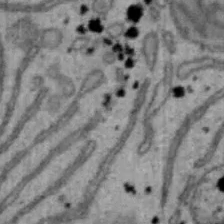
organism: Mouse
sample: Liver